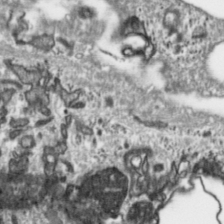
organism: Toxoplasma gondii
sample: Parasites in a vacuole inside a host cell